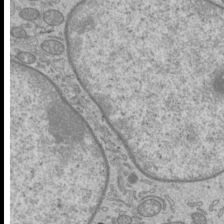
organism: Mouse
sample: Cilia; mouse epididymis